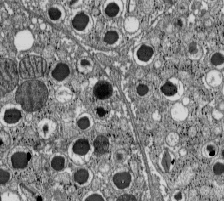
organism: C57BL Mouse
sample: Pancreatic islet